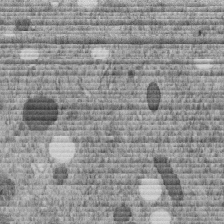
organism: C. elegans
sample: C. elegans embryo early stage